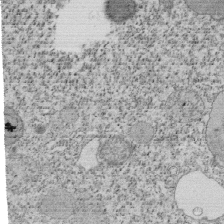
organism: Tetrahymena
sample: Cilia in tetrahymena